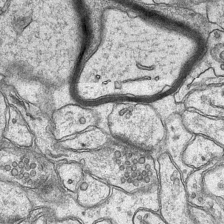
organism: Mouse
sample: CA1 Hippocampus